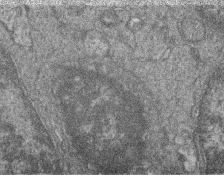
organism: Zebrafish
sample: Cilia; retinal pigment epithelium